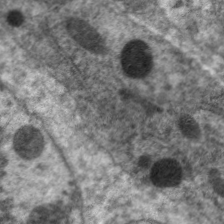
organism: C. elegans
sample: Pharynx